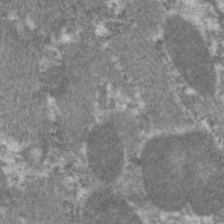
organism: C. elegans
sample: Pharynx